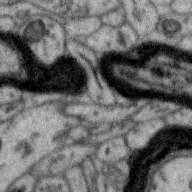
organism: Zebra finch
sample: Brain